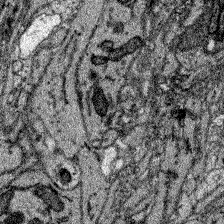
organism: Zebrafish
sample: Larval olfactory bulb